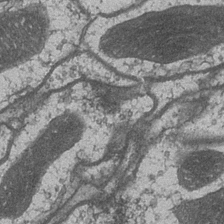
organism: Drosophila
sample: Optic medulla